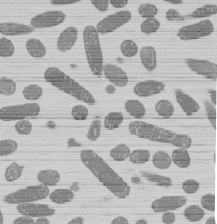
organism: E. coli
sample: Bacterial nucleoid